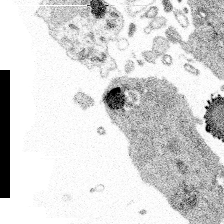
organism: Spongilla lacustris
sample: Multiple